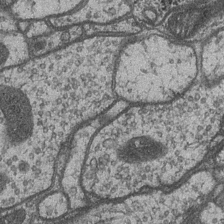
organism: Drosophila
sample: Optic medulla